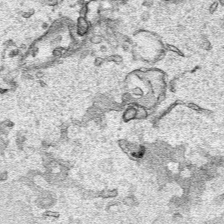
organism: Human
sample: Mitochondria in HCT116 cells